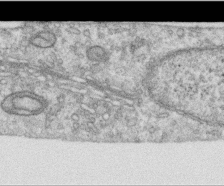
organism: Human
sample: Centriole in RPE cells